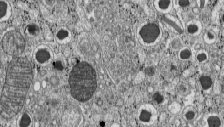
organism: C57BL Mouse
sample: Pancreatic islet